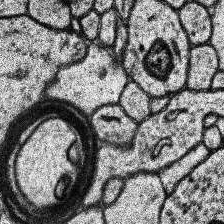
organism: Human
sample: Temporal Lobe